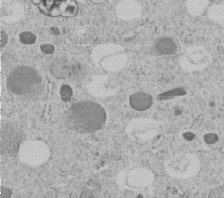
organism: C. elegans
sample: C. elegans embryo early stage